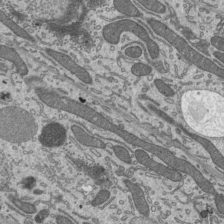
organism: Mouse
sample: Mouse epididymis efferent ductule cilia